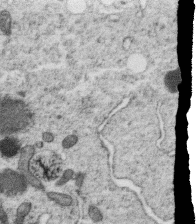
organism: C. elegans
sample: C. elegans oocyte; sperm cells